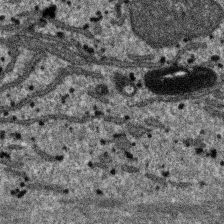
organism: Human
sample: Lung epithelial cells infected with SARS-CoV-2